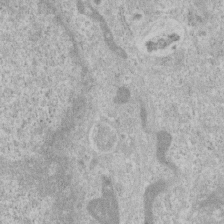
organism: Human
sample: Centriole in RPE cells